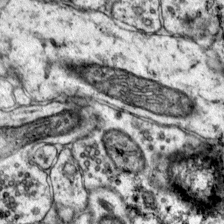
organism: Mouse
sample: Primary visual cortex